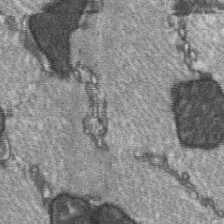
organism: C57BL Mouse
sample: Soleus